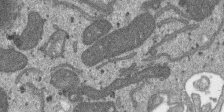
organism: Human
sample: Lung epithelial cells infected with SARS-CoV-2